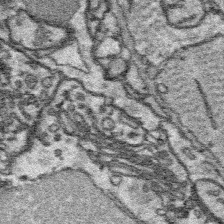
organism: Platynereis dumerilii